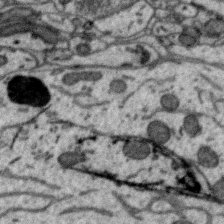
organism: Zebra finch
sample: Brain